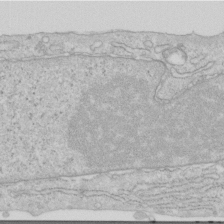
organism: Human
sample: Centriole in RPE cells